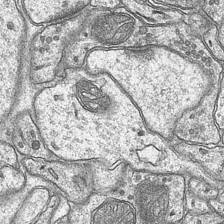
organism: Mouse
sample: CA1 Hippocampus